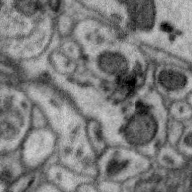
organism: Zebra finch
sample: Brain